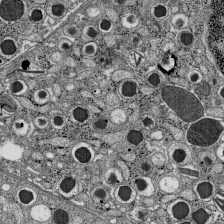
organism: C57BL Mouse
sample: Pancreatic islet